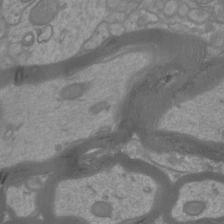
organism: Mouse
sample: Cortical neurons